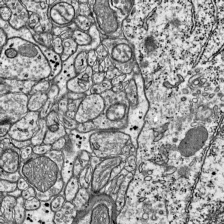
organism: Mouse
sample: Visual Cortex